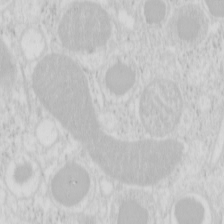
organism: Mouse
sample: Pancreas